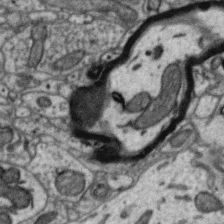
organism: Zebra finch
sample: Brain